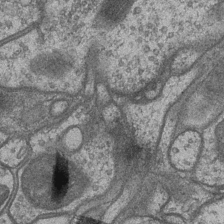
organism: Drosophila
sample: Optic medulla